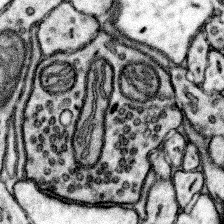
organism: Mouse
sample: Somatosensory cortex neuropil